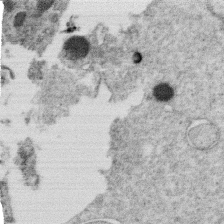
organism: C. elegans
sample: C. elegans oocyte; sperm cells